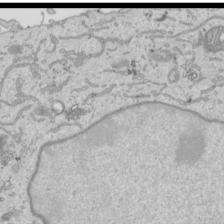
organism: Human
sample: Mitochondria in HCT116 cells